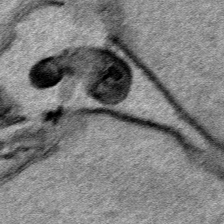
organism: Human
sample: Mitochondria in HCT116 cells